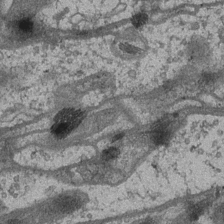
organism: Drosophila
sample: Optic medulla